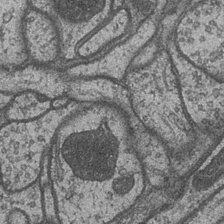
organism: Drosophila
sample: Optic medulla